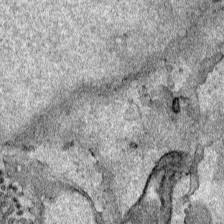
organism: Human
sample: Mitochondria in HCT116 cells